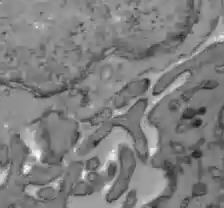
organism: C57BL Mouse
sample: Liver